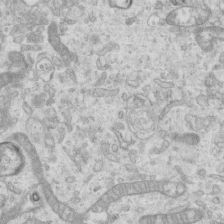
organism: Mouse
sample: Centriole in ependymal cells